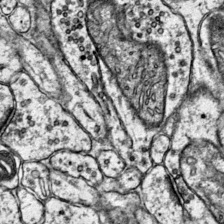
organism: Mouse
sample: Primary visual cortex